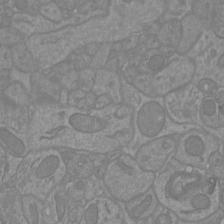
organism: Mouse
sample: Cortical neurons